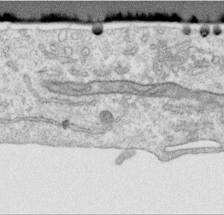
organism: Human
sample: Centriole in RPE cells